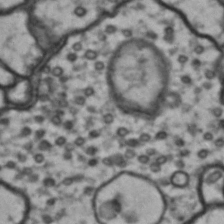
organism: Drosophila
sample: Brain